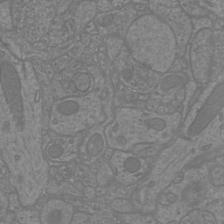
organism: Mouse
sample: Cortical neurons